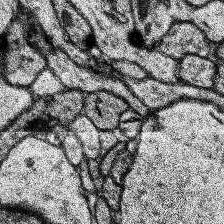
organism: Human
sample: Temporal Lobe